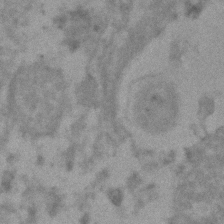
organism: Human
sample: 1205lu cells